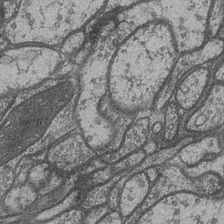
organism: Drosophila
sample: Optic medulla